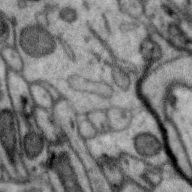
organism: Zebra finch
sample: Brain